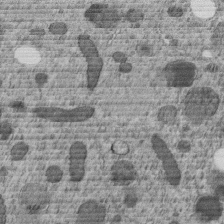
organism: C. elegans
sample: C. elegans embryo early stage